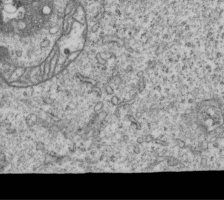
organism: Human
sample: MDA-MB-231 cells